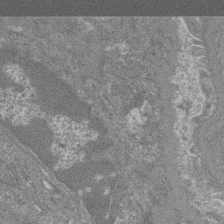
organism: Mouse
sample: Glomerulus